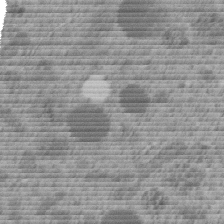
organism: C. elegans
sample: C. elegans embryo early stage